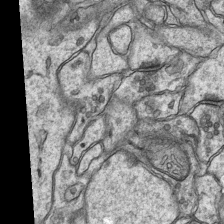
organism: Mouse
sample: CA1 Hippocampus